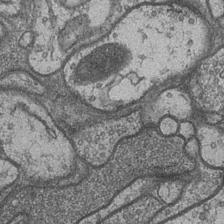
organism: Drosophila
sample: Optic medulla